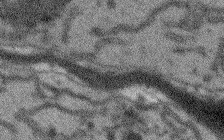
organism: Arabidopsis thaliana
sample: Root tip